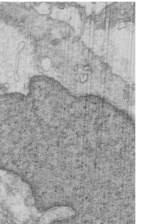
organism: Mouse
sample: Multiciliated cells